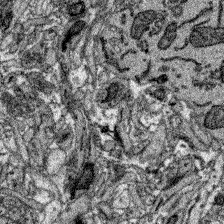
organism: Zebrafish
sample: Larval olfactory bulb